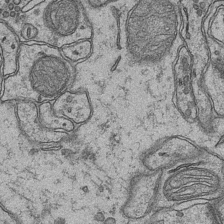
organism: Mouse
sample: CA1 Hippocampus